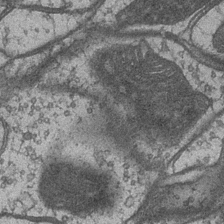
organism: Drosophila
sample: Optic medulla